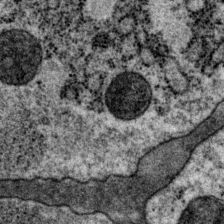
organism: P. pacificus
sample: Pharynx